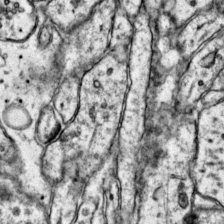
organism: Mouse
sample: Primary visual cortex